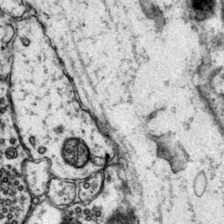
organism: Mouse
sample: Primary visual cortex